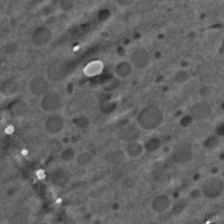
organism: C. elegans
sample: C. elegans embryo